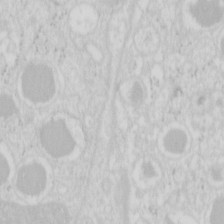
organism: Mouse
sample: Pancreas